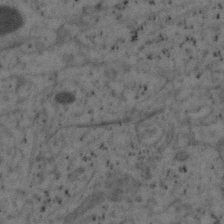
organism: Human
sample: HeLa cells